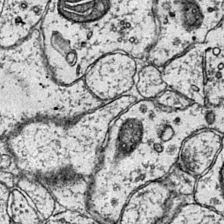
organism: Mouse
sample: Primary visual cortex